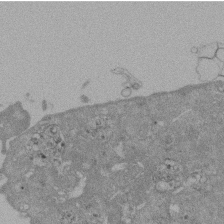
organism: Mouse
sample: ED-1 cell nuclei; centrioles